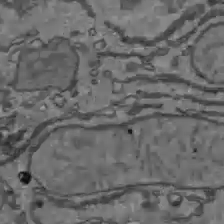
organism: C57BL Mouse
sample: Liver